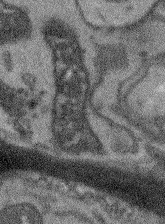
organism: Arabidopsis thaliana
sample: Root tip